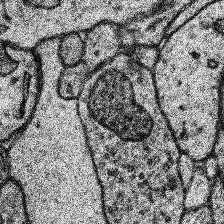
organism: Human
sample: Temporal Lobe